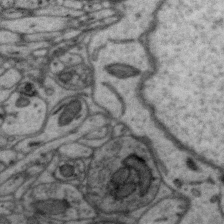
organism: Zebra finch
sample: Brain